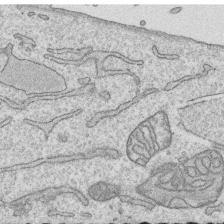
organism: Human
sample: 1205lu cells